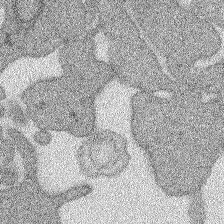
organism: Human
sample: HeLa cells